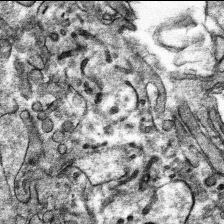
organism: Mouse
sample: Mouse hepatocytes